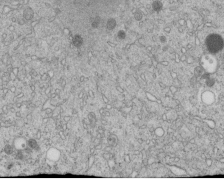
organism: C. elegans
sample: C. elegans embryo early stage